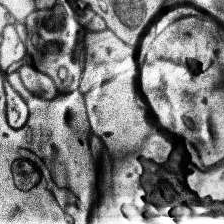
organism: Human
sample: Temporal Lobe